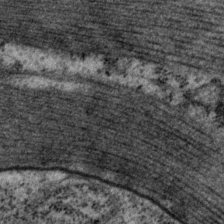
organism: P. pacificus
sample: Pharynx